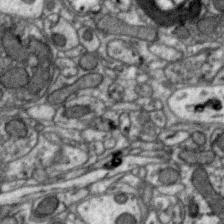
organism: Zebra finch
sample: Brain